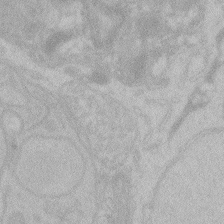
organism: Zebrafish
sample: Macrophage infected with Toxoplasma gondii